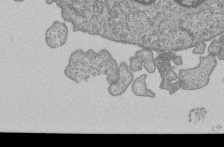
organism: Human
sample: MDA-MB-231 cells